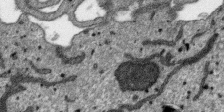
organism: Human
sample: Lung epithelial cells, uninfected (mock) control